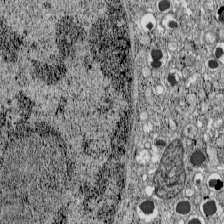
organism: C57BL Mouse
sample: Pancreatic islet